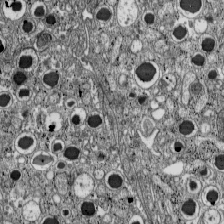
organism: C57BL Mouse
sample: Pancreatic islet